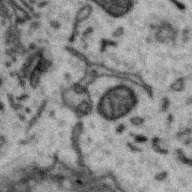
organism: Zebra finch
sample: Brain